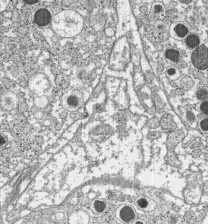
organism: C57BL Mouse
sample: Pancreatic islet